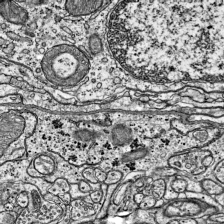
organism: Mouse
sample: Visual Cortex